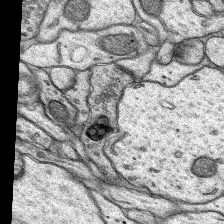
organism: Rat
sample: Hippocampus